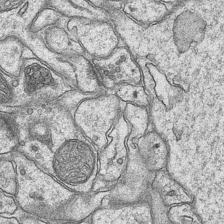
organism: Mouse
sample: CA1 Hippocampus